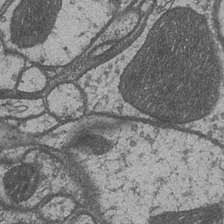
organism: Drosophila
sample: Optic medulla